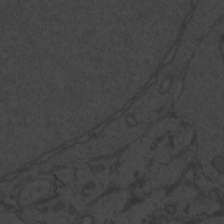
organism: Zebrafish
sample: Macrophage infected with Toxoplasma gondii